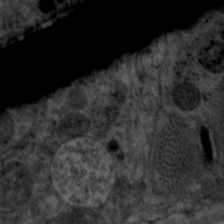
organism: C. elegans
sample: Pharynx